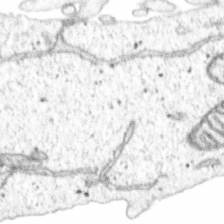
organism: Human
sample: HeLa cells